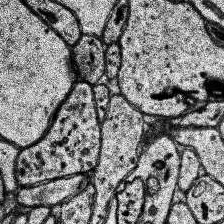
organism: Human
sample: Temporal Lobe